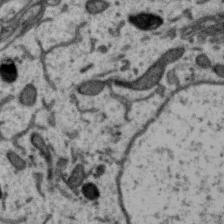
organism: Zebra finch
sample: Brain